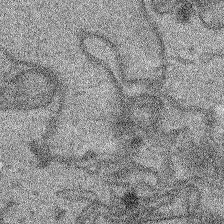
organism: Human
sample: HeLa cells